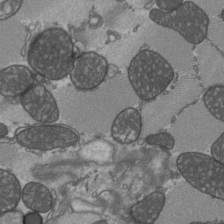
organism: C57BL Mouse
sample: Heart